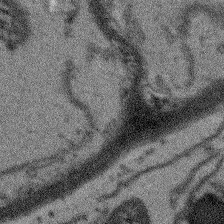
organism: Arabidopsis thaliana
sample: Root tip